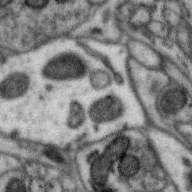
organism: Zebra finch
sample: Brain